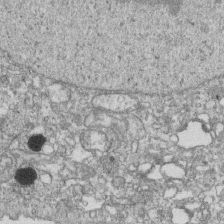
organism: Human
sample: HeLa cell HIV synapse